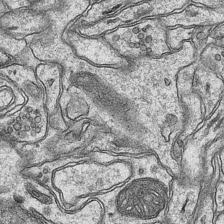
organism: Mouse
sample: CA1 Hippocampus